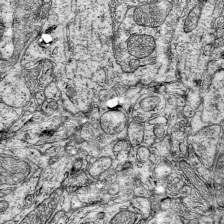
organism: Mouse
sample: Visual Cortex